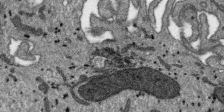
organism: Human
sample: Lung epithelial cells, uninfected (mock) control